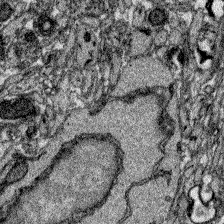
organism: Zebrafish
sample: Larval olfactory bulb